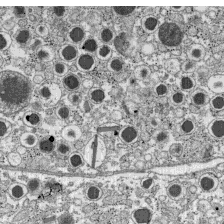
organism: C57BL Mouse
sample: Pancreatic islet